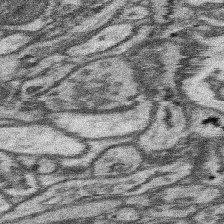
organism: Mouse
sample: Somatosensory cortex neuropil